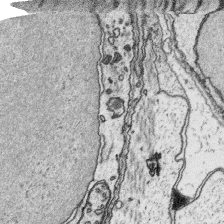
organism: Platynereis dumerilii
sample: Parapodia